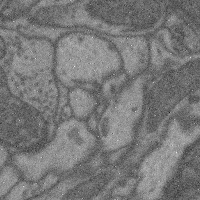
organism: Mouse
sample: Cerebral cortex